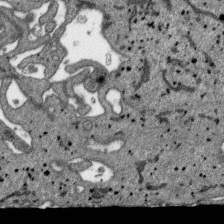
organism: Human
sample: Lung epithelial cells, uninfected (mock) control